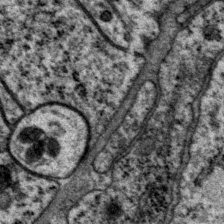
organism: P. pacificus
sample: Pharynx